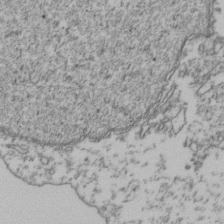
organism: Human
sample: Activated Jurkat CD4+ T cells